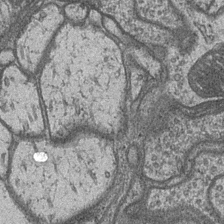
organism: Drosophila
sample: Optic medulla